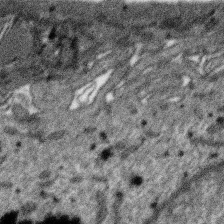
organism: Human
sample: Lung epithelial cells infected with SARS-CoV-2